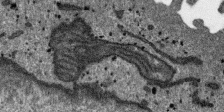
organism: Human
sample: Lung epithelial cells, uninfected (mock) control